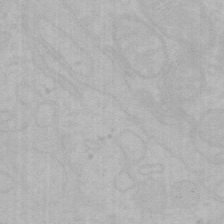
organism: Mouse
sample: Choroid plexus